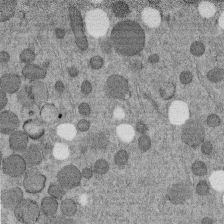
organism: C. elegans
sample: C. elegans embryo early stage